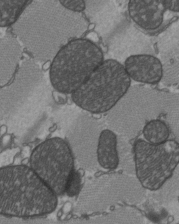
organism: C57BL Mouse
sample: Heart